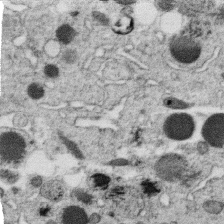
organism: C. elegans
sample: C. elegans oocyte; sperm cells